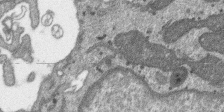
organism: Human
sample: Lung epithelial cells infected with SARS-CoV-2